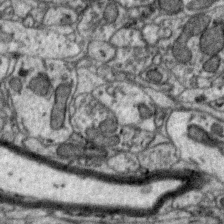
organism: Zebra finch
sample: Brain